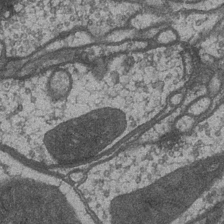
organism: Drosophila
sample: Optic medulla